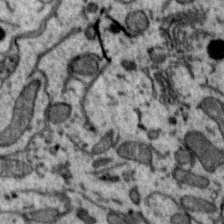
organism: Zebra finch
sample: Brain